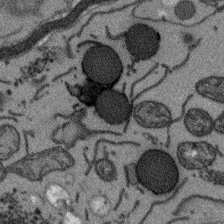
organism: Arabidopsis thaliana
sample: Root tip